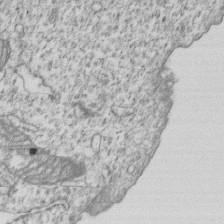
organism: Human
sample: MDA-MB-231 cells